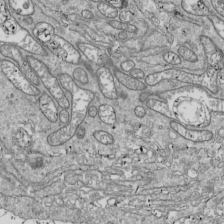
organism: Drosophila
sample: Cell division; meiosis; drosophila spermatocytes